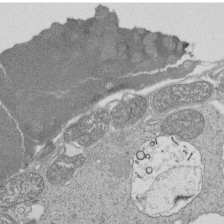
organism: Tetrahymena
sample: Cilia in tetrahymena